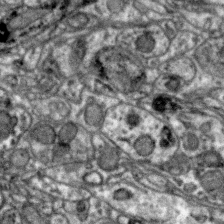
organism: Zebra finch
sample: Brain